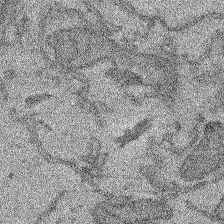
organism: Human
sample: HeLa cells